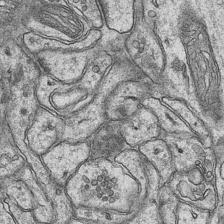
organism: Mouse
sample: CA1 Hippocampus